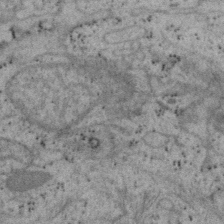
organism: Human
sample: HeLa cells